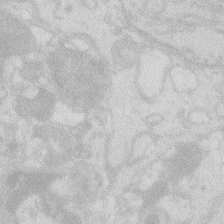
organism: Zebrafish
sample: Macrophage